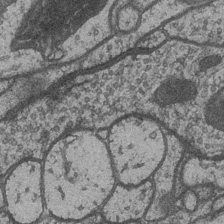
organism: Drosophila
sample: Optic medulla